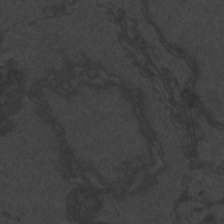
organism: Zebrafish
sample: Macrophage infected with Toxoplasma gondii